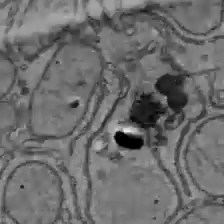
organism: C57BL Mouse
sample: Liver